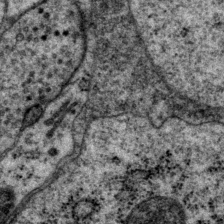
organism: P. pacificus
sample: Pharynx